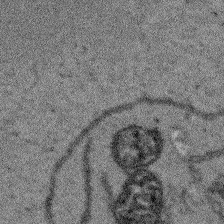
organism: Arabidopsis thaliana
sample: Root tip